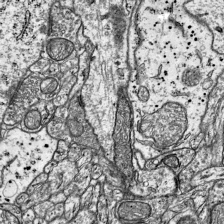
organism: Mouse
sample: Visual Cortex